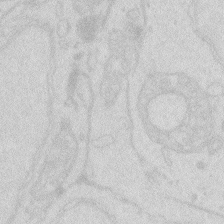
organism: Zebrafish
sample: Macrophage